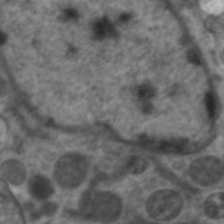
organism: C. elegans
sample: Pharynx